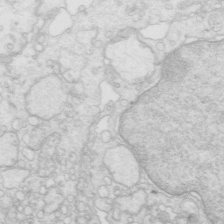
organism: Mouse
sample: Multiciliated cells